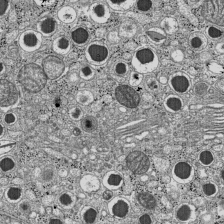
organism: C57BL Mouse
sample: Pancreatic islet